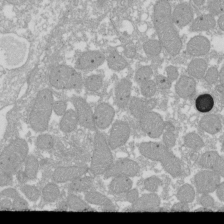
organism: Xenopus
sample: Cilia; centrioles in frog embryo cells